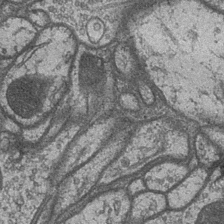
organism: Drosophila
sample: Optic medulla